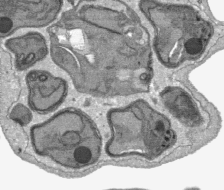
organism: Plasmodium falciparum